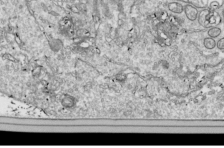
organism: Drosophila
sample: Cell division; meiosis; drosophila spermatocytes